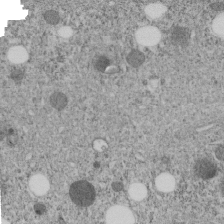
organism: C. elegans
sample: C. elegans embryo early stage